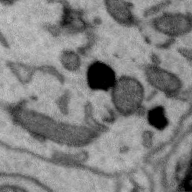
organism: Zebra finch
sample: Brain